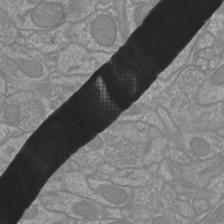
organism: Mouse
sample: Cortical neurons